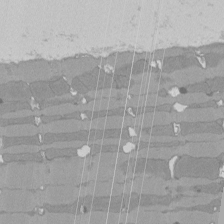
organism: Rat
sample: Left ventricle